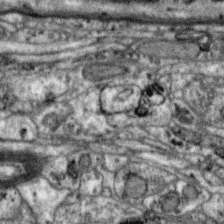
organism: Zebra finch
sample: Brain